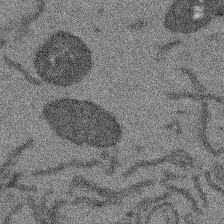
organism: Arabidopsis thaliana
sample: Root tip